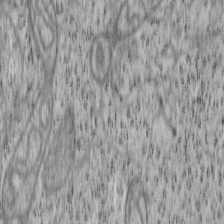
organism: Human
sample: HeLa cells